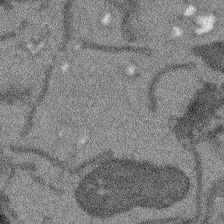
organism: Arabidopsis thaliana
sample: Root tip